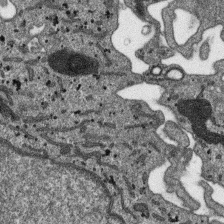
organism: Human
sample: Lung epithelial cells infected with SARS-CoV-2